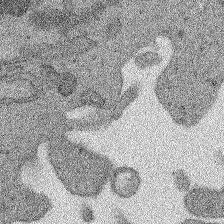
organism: Human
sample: HeLa cells